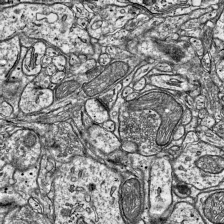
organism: Mouse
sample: Visual Cortex